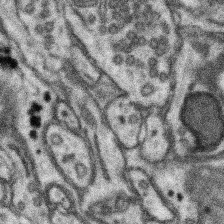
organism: Mouse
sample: Somatosensory cortex neuropil